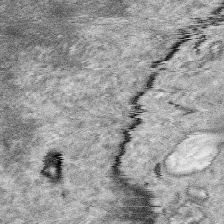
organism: Human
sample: HeLa cells